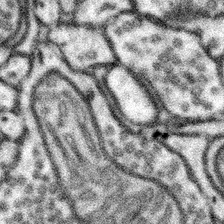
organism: Mouse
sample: Somatosensory cortex neuropil